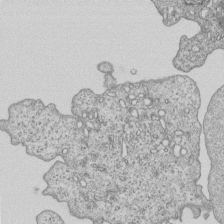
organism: Human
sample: MDA-MB-231 cells